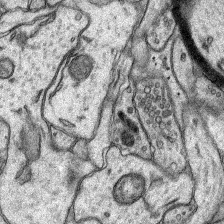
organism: Rat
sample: Hippocampus